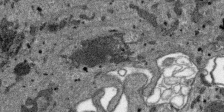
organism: Human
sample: Lung epithelial cells, uninfected (mock) control